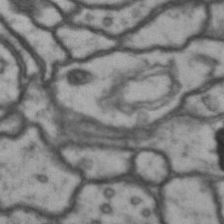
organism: Drosophila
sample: Brain